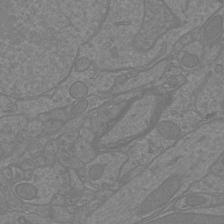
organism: Mouse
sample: Cortical neurons